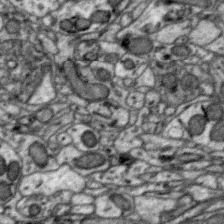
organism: Zebra finch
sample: Brain